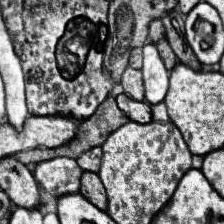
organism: Human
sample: Temporal Lobe